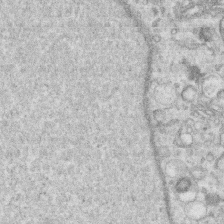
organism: Human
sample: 1205lu cells